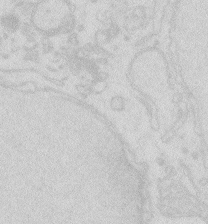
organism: Zebrafish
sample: Macrophage